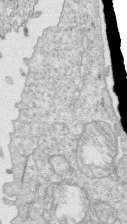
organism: Human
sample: HeLa cell HIV synapse